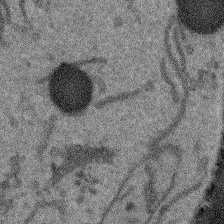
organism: Arabidopsis thaliana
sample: Root tip